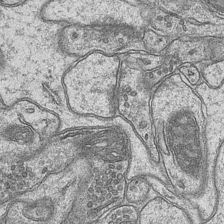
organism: Mouse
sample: CA1 Hippocampus